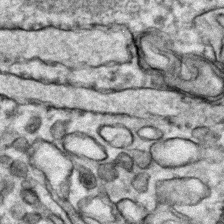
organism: Zebrafish